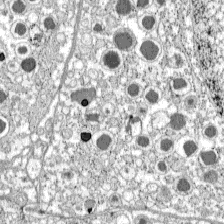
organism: C57BL Mouse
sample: Pancreatic islet